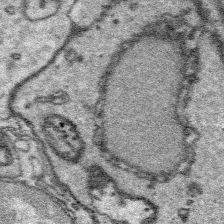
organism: Platynereis dumerilii